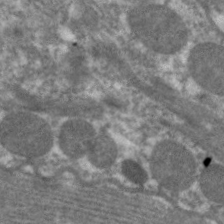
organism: C. elegans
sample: Pharynx